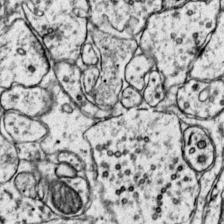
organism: Mouse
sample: Primary visual cortex